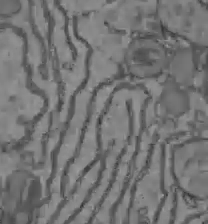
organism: C57BL Mouse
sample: Liver